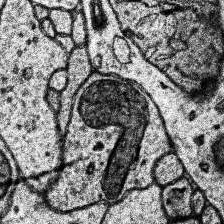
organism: Human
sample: Temporal Lobe